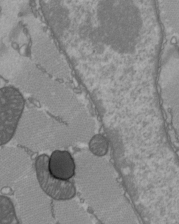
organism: C57BL Mouse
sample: Heart